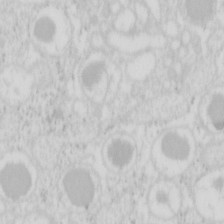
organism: Mouse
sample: Pancreas